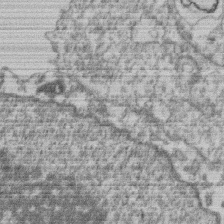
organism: Mouse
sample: T cell stromal cell synapse